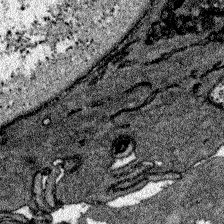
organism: Zebrafish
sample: Larval olfactory bulb